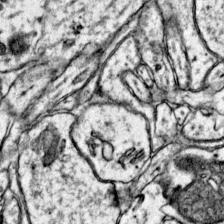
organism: Mouse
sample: Primary visual cortex